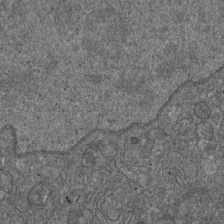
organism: Drosophila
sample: Nephrocyte